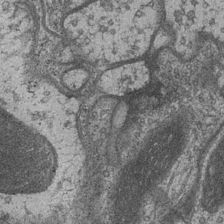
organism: Drosophila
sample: Optic medulla